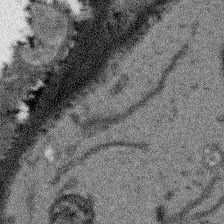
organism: Arabidopsis thaliana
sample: Root tip